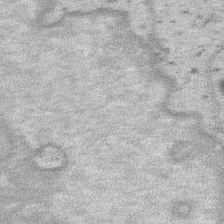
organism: Human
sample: Lung epithelial cells infected with SARS-CoV-2